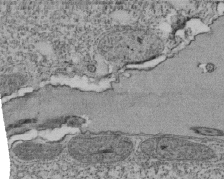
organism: Tetrahymena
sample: Cilia in tetrahymena